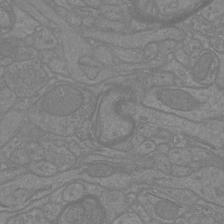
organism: Mouse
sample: Cortical neurons